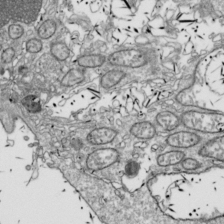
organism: Drosophila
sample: Cell division; meiosis; drosophila spermatocytes